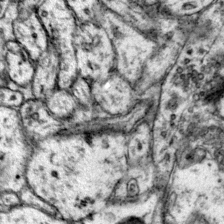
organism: Mouse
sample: Primary visual cortex